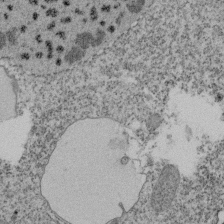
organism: Tetrahymena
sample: Cilia in tetrahymena